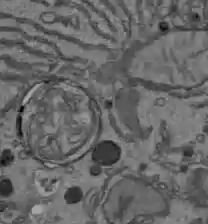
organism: C57BL Mouse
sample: Liver